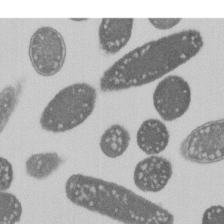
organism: E. coli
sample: Bacterial nucleoid